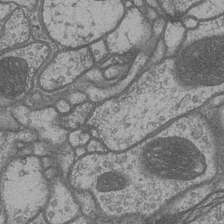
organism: Drosophila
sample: Optic medulla